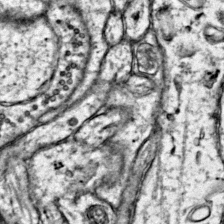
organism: Mouse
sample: Primary visual cortex